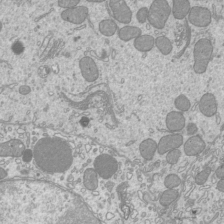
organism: Mouse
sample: Cilia; mouse epididymis